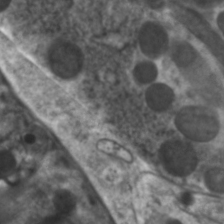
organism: C. elegans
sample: Pharynx